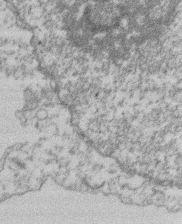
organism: Mouse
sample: T cell stromal cell synapse